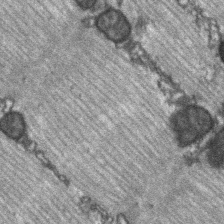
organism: C57BL Mouse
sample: Soleus